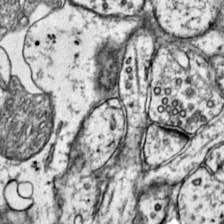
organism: Mouse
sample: Primary visual cortex